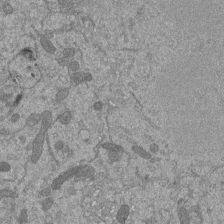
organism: Mouse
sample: ED-1 cell nuclei; centrioles